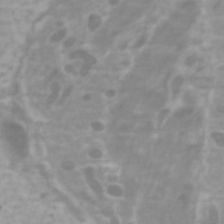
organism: Zebrafish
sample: Zebrafish embryo